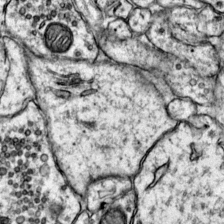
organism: Mouse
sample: Primary visual cortex